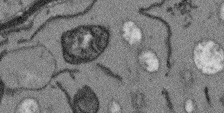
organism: Arabidopsis thaliana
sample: Root tip